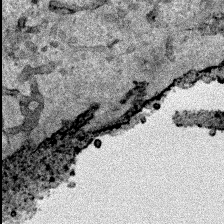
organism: Human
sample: Mitochondria in HCT116 cells